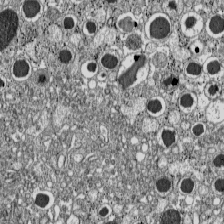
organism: C57BL Mouse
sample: Pancreatic islet